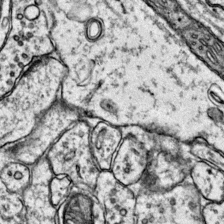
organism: Mouse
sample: Primary visual cortex